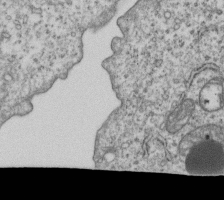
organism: Human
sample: MDA-MB-231 cells